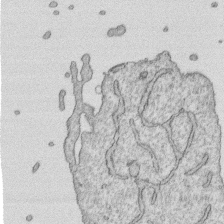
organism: Human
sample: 1205lu cells